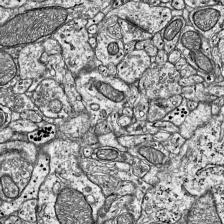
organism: Mouse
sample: Visual Cortex